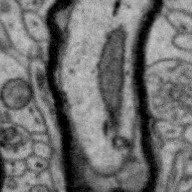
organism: Zebra finch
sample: Brain